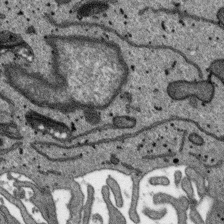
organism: Human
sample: Lung epithelial cells, uninfected (mock) control